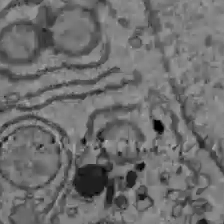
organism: C57BL Mouse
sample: Liver